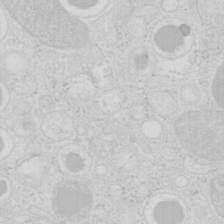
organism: Mouse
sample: Pancreas